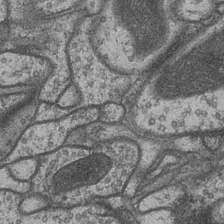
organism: Drosophila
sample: Optic medulla